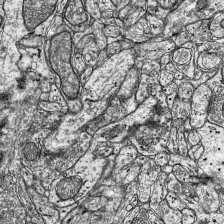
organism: Mouse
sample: Visual Cortex